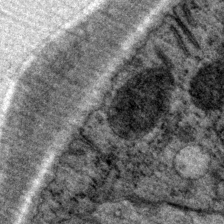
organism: P. pacificus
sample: Pharynx